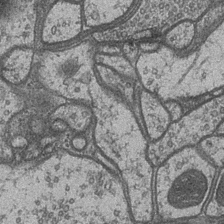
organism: Drosophila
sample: Optic medulla